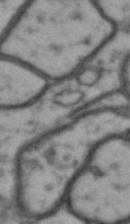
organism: Drosophila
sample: Brain